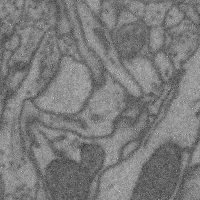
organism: Mouse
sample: Cerebral cortex